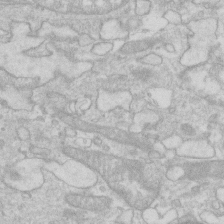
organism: Human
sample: Fibroblast cells